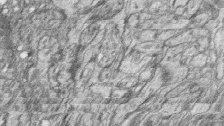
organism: Zebrafish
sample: synaptic ribbons in rod cells and cone cells